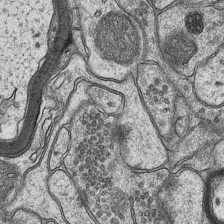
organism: Mouse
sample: CA1 Hippocampus